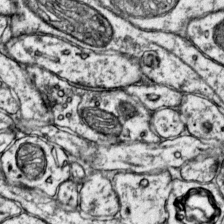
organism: Mouse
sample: Primary visual cortex